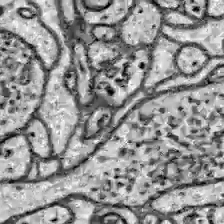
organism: Zebrafish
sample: Brain